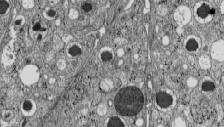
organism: C57BL Mouse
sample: Pancreatic islet